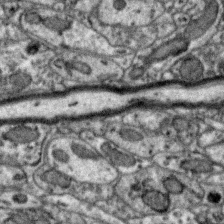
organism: Zebra finch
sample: Brain